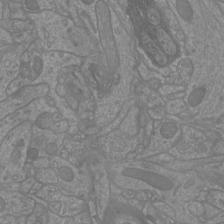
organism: Mouse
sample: Cortical neurons